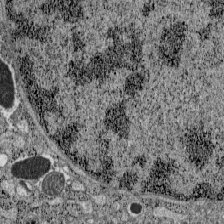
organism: C57BL Mouse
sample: Pancreatic islet